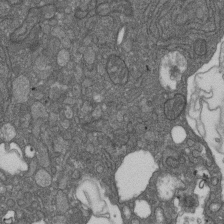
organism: Drosophila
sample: Nephrocyte